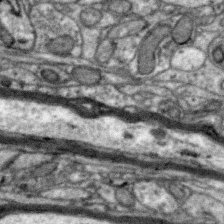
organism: Zebra finch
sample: Brain